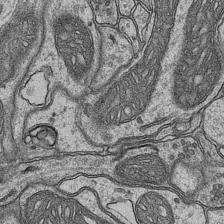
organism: Mouse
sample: CA1 Hippocampus